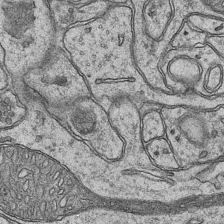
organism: Mouse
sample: CA1 Hippocampus